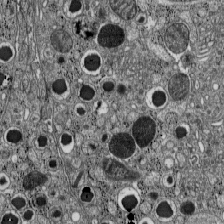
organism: C57BL Mouse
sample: Pancreatic islet